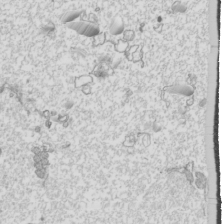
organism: Mouse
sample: Cilia; mouse epididymis